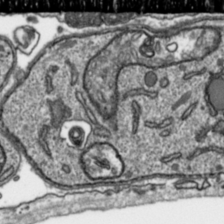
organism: Toxoplasma gondii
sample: Parasites in a vacuole inside a host cell